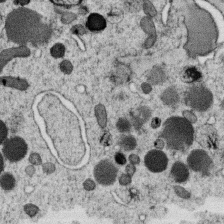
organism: C. elegans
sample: C. elegans oocyte; sperm cells